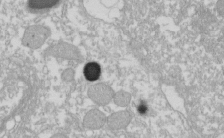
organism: Xenopus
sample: Cilia; centrioles in frog embryo cells